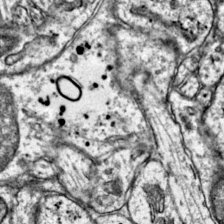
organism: Mouse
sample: Primary visual cortex